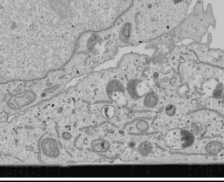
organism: Human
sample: Mitochondria in U2OS cells